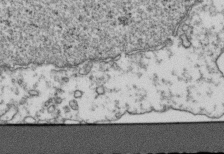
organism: Human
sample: Activated Jurkat CD4+ T cells